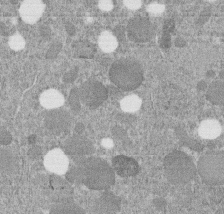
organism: C. elegans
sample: C. elegans embryo early stage